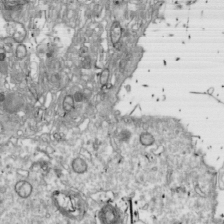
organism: Drosophila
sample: Cell division; meiosis; drosophila spermatocytes